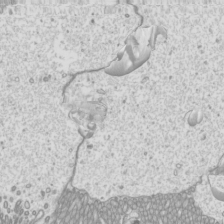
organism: Mouse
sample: Cilia; mouse epididymis